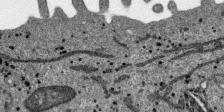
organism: Human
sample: Lung epithelial cells, uninfected (mock) control